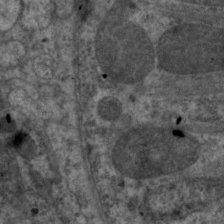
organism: C. elegans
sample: Pharynx